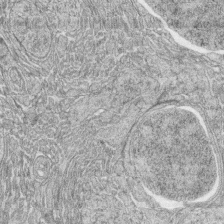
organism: Zebrafish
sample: synaptic ribbons in rod cells and cone cells